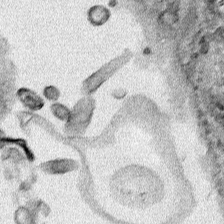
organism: Human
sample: Mitochondria in HCT116 cells